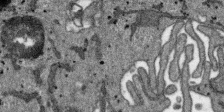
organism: Human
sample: Lung epithelial cells, uninfected (mock) control